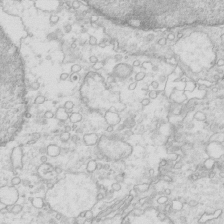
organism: Mouse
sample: Multiciliated cells